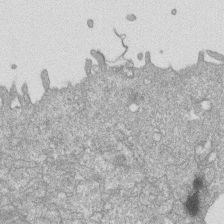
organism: Human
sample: HeLa cell HIV synapse